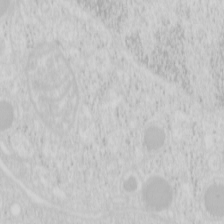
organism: Mouse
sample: Pancreas